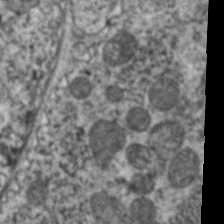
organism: C. elegans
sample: Pharynx